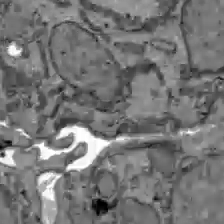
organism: C57BL Mouse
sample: Liver